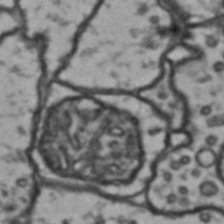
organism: Drosophila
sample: Brain